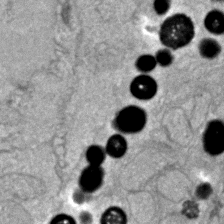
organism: Zebrafish